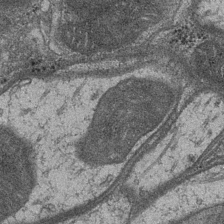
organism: Drosophila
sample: Optic medulla